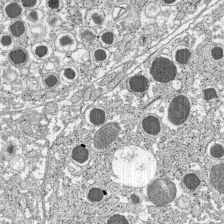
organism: C57BL Mouse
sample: Pancreatic islet